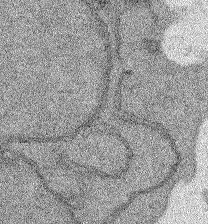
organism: Human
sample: HeLa cells